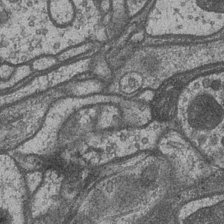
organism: Drosophila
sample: Optic medulla